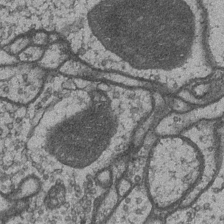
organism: Drosophila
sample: Optic medulla